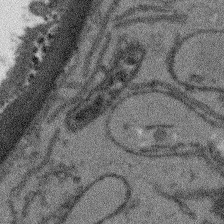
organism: Arabidopsis thaliana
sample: Root tip